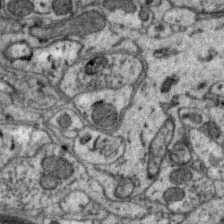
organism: Zebra finch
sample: Brain